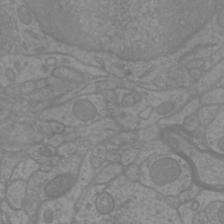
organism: Mouse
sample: Cortical neurons